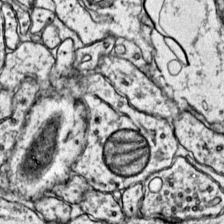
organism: Mouse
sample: Primary visual cortex